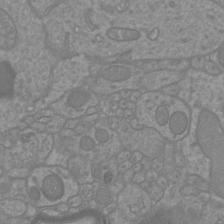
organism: Mouse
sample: Cortical neurons